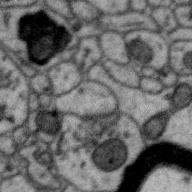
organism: Zebra finch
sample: Brain